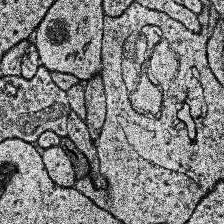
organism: Human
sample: Temporal Lobe